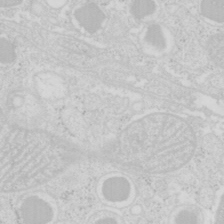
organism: Mouse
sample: Pancreas